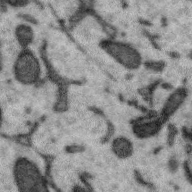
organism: Zebra finch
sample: Brain